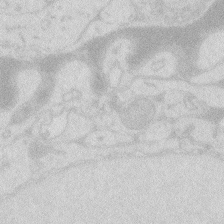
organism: Zebrafish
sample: Macrophage